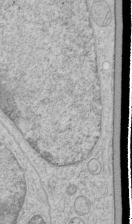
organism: Human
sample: Mitochondria in HCT116 cells